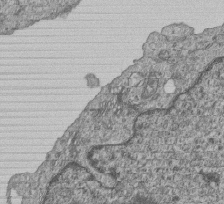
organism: Human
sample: MDA-MB-231 cells